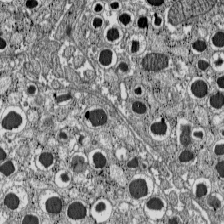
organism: C57BL Mouse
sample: Pancreatic islet